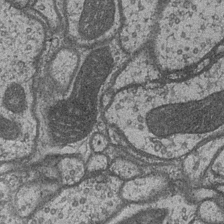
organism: Drosophila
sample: Optic medulla